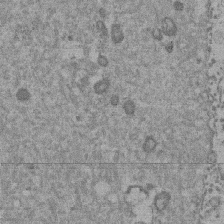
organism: Mouse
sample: Dividing mouse embryo 1 cell stage